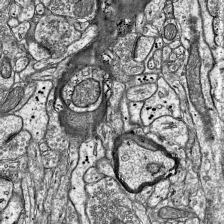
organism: Mouse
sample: Visual Cortex